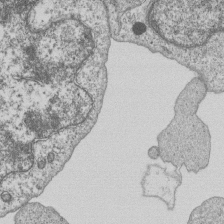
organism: Human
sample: MDA-MB-231 cells